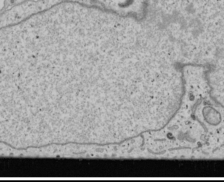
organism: Human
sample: Mitochondria in U2OS cells